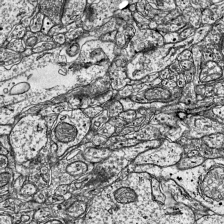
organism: Mouse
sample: Visual Cortex